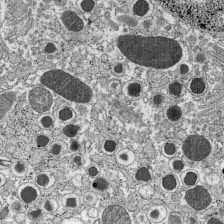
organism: C57BL Mouse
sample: Pancreatic islet